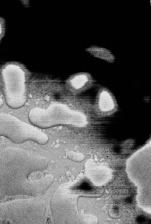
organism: Human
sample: Retinal organoid Rod and Cone cells